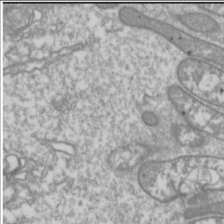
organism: Drosophila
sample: Cell division; meiosis; drosophila spermatocytes